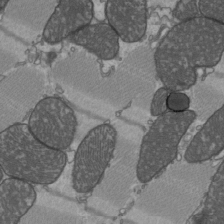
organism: C57BL Mouse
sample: Heart